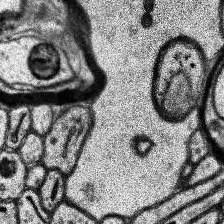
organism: Human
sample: Temporal Lobe